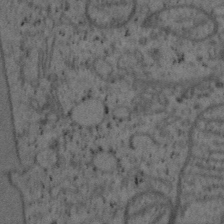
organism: Human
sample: HeLa cells